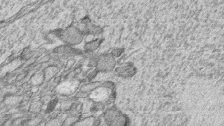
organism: Zebrafish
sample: synaptic ribbons in rod cells and cone cells